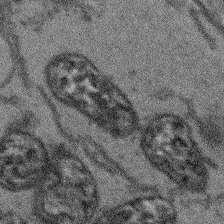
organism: Arabidopsis thaliana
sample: Root tip